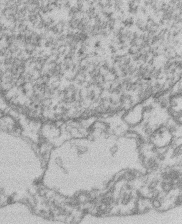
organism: Mouse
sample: T cell stromal cell synapse